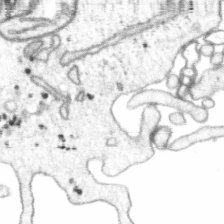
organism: Human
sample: HeLa cells